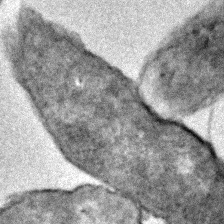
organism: E. coli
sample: E. Coli Bacteria